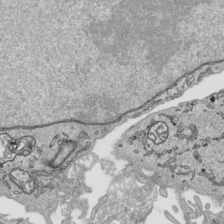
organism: Human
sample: Mitochondria in HCT116 cells